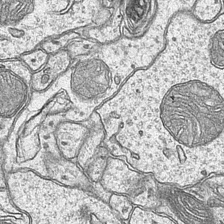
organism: Mouse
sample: CA1 Hippocampus